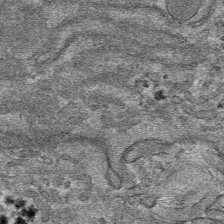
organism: Mouse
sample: Mouse hepatocytes